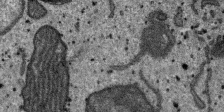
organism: Human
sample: Lung epithelial cells, uninfected (mock) control